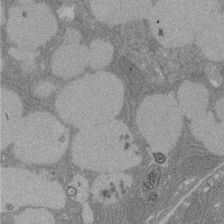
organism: Rat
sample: Salivary granule